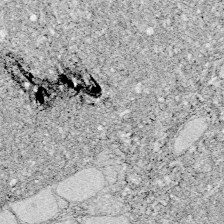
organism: Zebrafish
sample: Whole-Brain